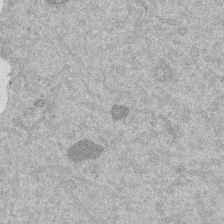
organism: Mouse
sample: Dividing mouse embryo 1 cell stage